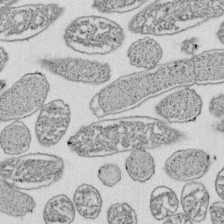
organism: E. coli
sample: Bacterial nucleoid